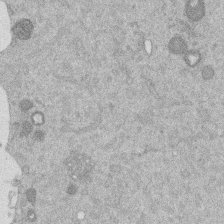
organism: Mouse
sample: Dividing mouse embryo 1 cell stage